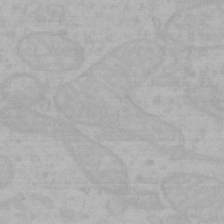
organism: Mouse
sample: Choroid plexus